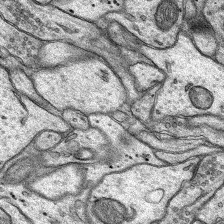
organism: Rat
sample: Hippocampus